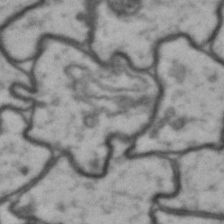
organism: Drosophila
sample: Brain